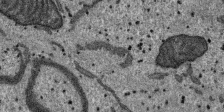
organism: Human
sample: Lung epithelial cells, uninfected (mock) control